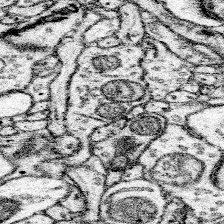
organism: Mouse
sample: Somatosensory cortex neuropil